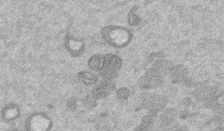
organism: Mouse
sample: Dividing mouse embryo 1 cell stage